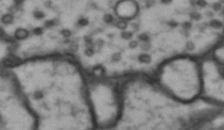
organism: Drosophila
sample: Brain